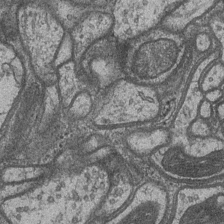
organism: Drosophila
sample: Optic medulla